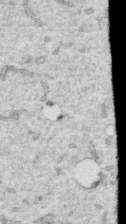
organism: Human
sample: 1205lu cells